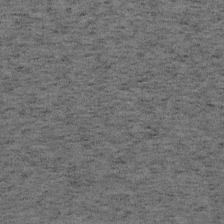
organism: Mouse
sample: OT-I killer T cells with ID8 ovarian cancer cells